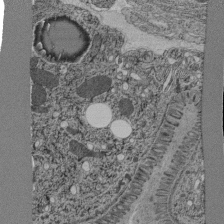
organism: C. elegans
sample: C. elegans pharynx